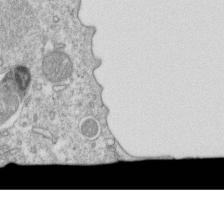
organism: Mouse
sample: Activated OT-1 CD8+ T cells